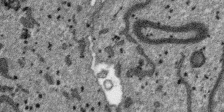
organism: Human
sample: Lung epithelial cells, uninfected (mock) control